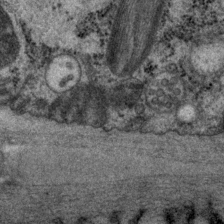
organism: P. pacificus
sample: Pharynx